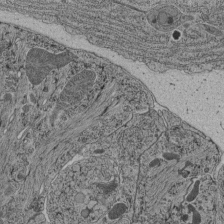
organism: C. elegans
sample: C. elegans pharynx